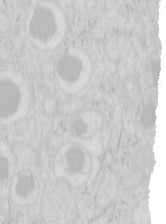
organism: Mouse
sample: Pancreas